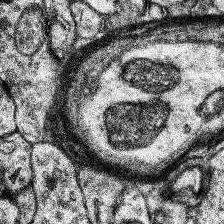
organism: Human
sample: Temporal Lobe